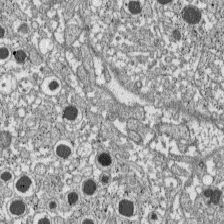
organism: C57BL Mouse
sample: Pancreatic islet